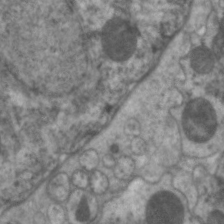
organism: C. elegans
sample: Pharynx